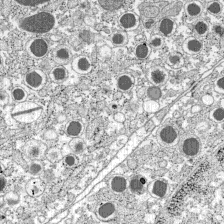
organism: C57BL Mouse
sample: Pancreatic islet